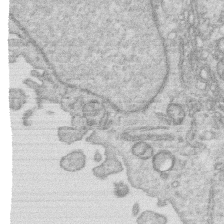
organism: Human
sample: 1205lu cells